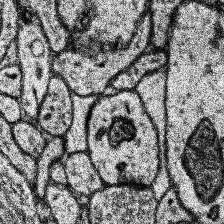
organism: Human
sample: Temporal Lobe